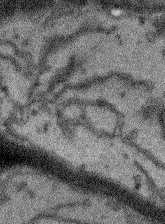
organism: Arabidopsis thaliana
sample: Root tip